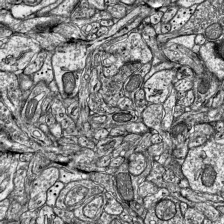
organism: Mouse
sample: Visual Cortex